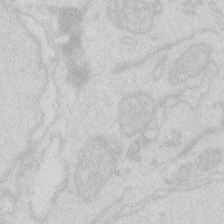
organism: Zebrafish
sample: Macrophage